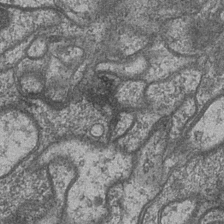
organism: Drosophila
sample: Optic medulla